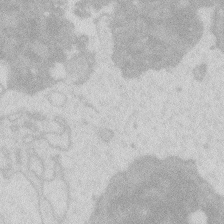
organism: Zebrafish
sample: Macrophage